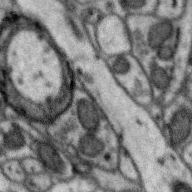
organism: Zebra finch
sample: Brain